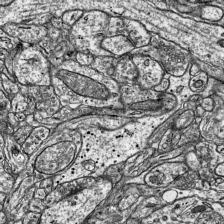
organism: Mouse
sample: Visual Cortex